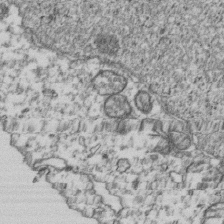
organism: Human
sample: Activated Jurkat CD4+ T cells